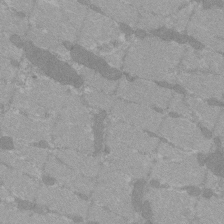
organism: C57BL Mouse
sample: Tibialis anterior muscle cell